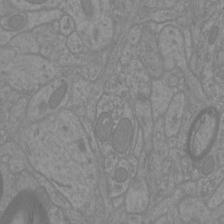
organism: Mouse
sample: Cortical neurons